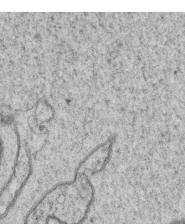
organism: C. elegans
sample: C. elegans oocyte; sperm cells